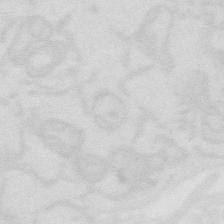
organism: Human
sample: HeLa cells